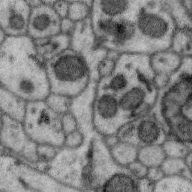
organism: Zebra finch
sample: Brain